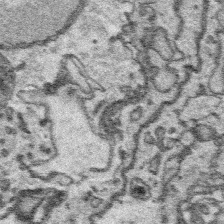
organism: Platynereis dumerilii